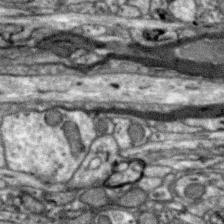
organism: Zebra finch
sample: Brain